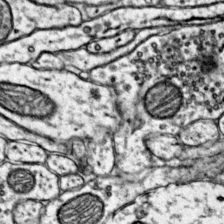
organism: Mouse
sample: Primary visual cortex